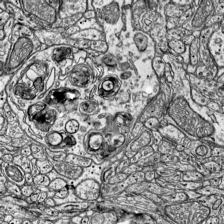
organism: Mouse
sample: Visual Cortex